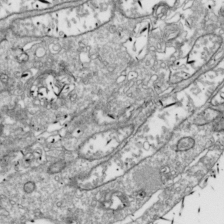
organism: Drosophila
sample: Cell division; meiosis; drosophila spermatocytes